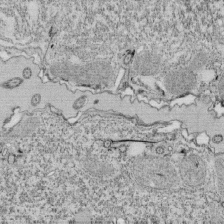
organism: Tetrahymena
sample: Cilia in tetrahymena